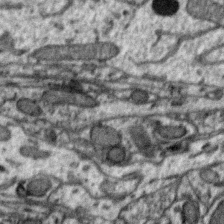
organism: Zebra finch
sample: Brain